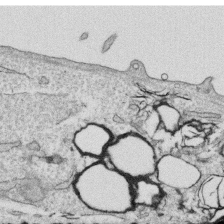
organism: Human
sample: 1205lu cells